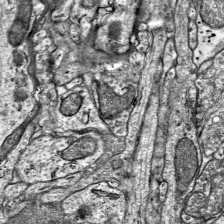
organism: Mouse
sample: Visual Cortex